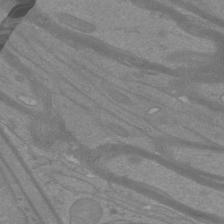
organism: Mouse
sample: Cortical neurons